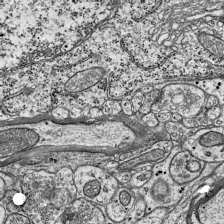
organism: Mouse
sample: Visual Cortex